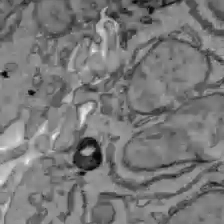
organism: C57BL Mouse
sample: Liver